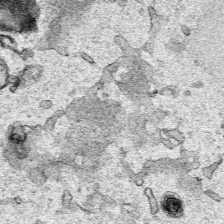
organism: Human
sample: Mitochondria in HCT116 cells